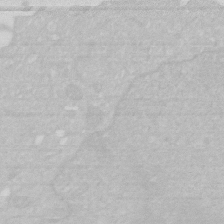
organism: Human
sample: HIV infected U937 cells